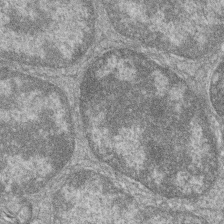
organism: Zebrafish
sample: Cilia; retinal pigment epithelium